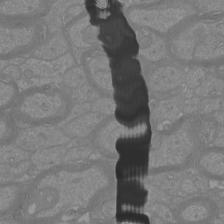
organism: Mouse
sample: Cortical neurons